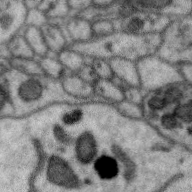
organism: Zebra finch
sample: Brain